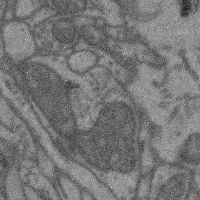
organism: Mouse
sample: Cerebral cortex